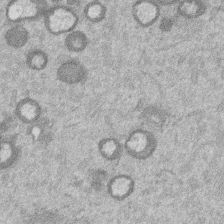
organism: Mouse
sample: Dividing mouse embryo 1 cell stage